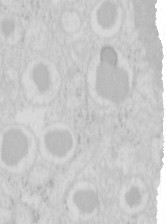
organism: Mouse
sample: Pancreas